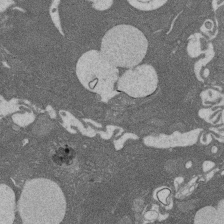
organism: Rat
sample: Salivary granule